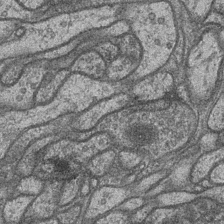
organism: Drosophila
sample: Optic medulla